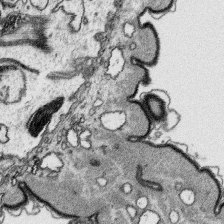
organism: Platynereis dumerilii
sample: Parapodia